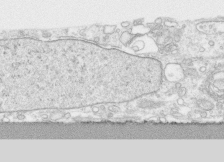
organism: Human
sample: CRL-1474